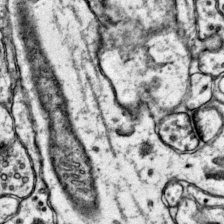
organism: Mouse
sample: Primary visual cortex